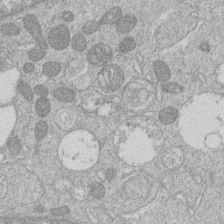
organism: Human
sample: Macrophage cells